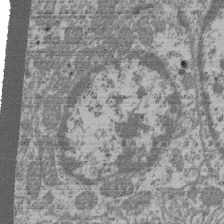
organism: Mouse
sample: Glomerulus